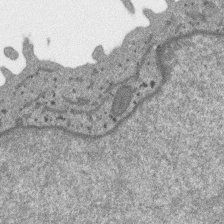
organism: Human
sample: Lung epithelial cells infected with SARS-CoV-2